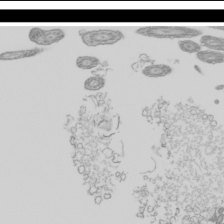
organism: Mouse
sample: Cilia; mouse epididymis